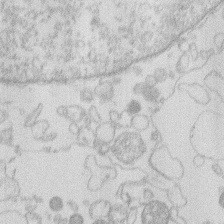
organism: Human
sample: Macrophage cells